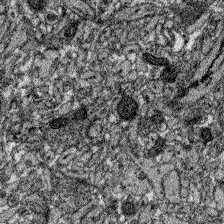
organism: Zebrafish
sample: Larval olfactory bulb